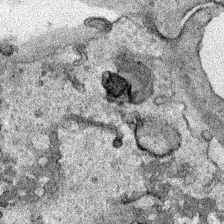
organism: Human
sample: Mitochondria in HCT116 cells